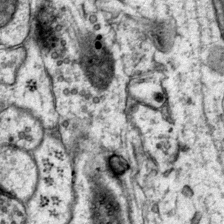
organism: Mouse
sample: Primary visual cortex